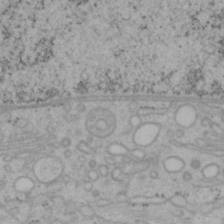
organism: Human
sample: HeLa cells